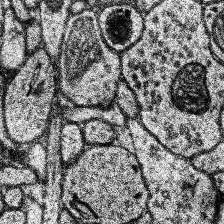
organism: Human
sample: Temporal Lobe